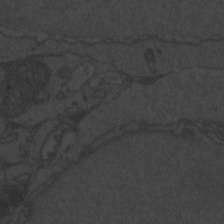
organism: Zebrafish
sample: Macrophage infected with Toxoplasma gondii